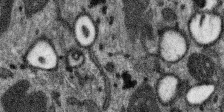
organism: Human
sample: Lung epithelial cells infected with SARS-CoV-2